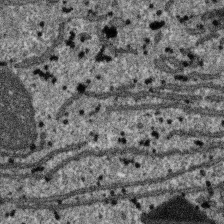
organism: Human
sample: Lung epithelial cells infected with SARS-CoV-2